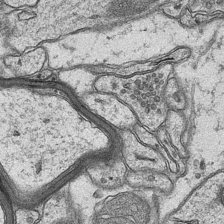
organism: Mouse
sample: CA1 Hippocampus